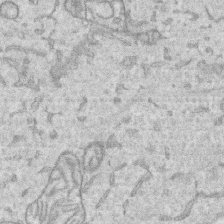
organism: Human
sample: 1205lu cells